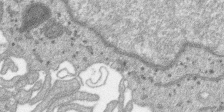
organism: Human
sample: Lung epithelial cells infected with SARS-CoV-2